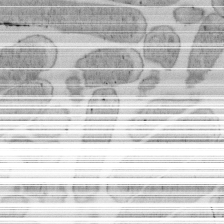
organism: E. coli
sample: Bacterial nucleoid